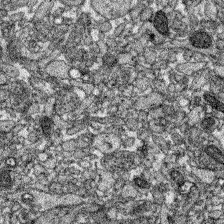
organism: Zebrafish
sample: Larval olfactory bulb